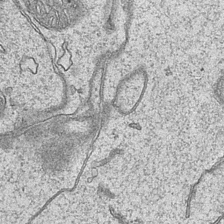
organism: Mouse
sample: CA1 Hippocampus